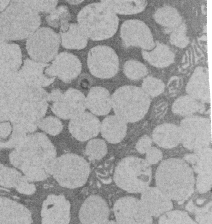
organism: Rat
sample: Salivary granule